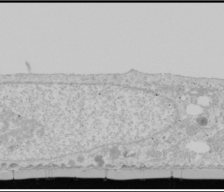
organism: Human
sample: Mitochondria in U2OS cells